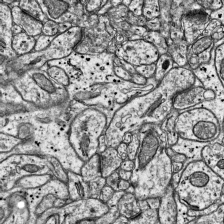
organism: Mouse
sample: Visual Cortex